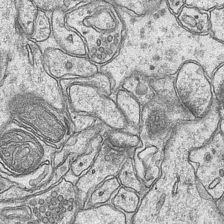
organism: Mouse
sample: CA1 Hippocampus